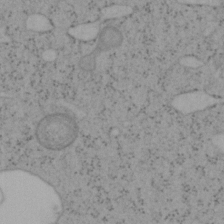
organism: Mouse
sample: OT-I killer T cells with ID8 ovarian cancer cells